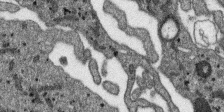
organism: Human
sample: Lung epithelial cells infected with SARS-CoV-2